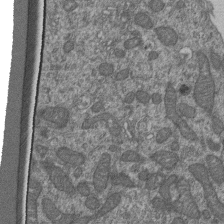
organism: Human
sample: Retinal organoid Rod and Cone cells